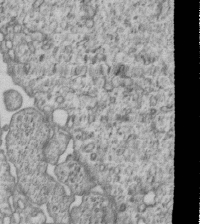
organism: Human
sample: MDA-MB-231 cells